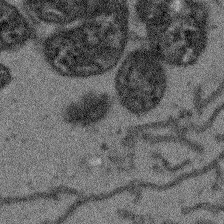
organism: Arabidopsis thaliana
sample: Root tip